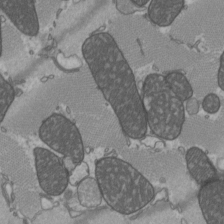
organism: C57BL Mouse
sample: Heart